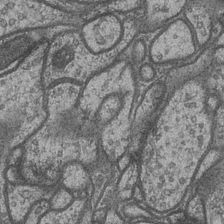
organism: Drosophila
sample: Optic medulla